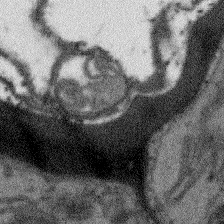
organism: Arabidopsis thaliana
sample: Root tip